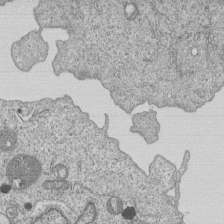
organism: Human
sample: MDA-MB-231 cells